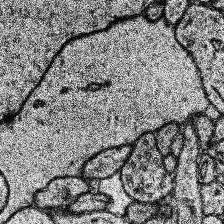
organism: Human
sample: Temporal Lobe